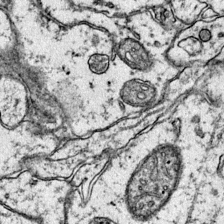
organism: Mouse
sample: Primary visual cortex